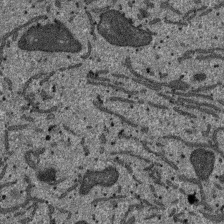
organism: Human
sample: Lung epithelial cells infected with SARS-CoV-2